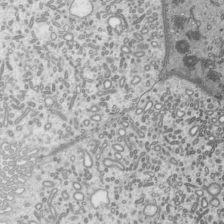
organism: Mouse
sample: Mouse epididymis efferent ductule cilia